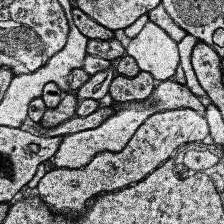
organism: Human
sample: Temporal Lobe